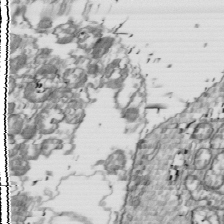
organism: Drosophila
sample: Cell division; meiosis; drosophila spermatocytes